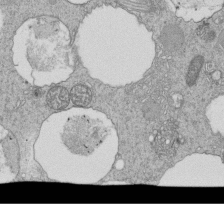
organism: Tetrahymena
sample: Cilia in tetrahymena